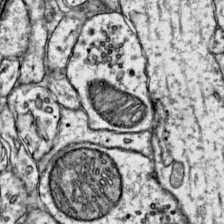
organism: Mouse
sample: Primary visual cortex